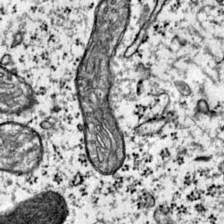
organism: Mouse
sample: Primary visual cortex